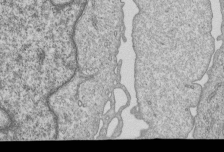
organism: Human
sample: MDA-MB-231 cells